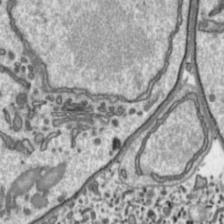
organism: Toxoplasma gondii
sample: Parasites in a vacuole inside a host cell